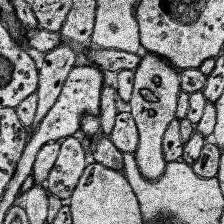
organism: Human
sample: Temporal Lobe